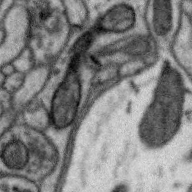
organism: Zebra finch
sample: Brain